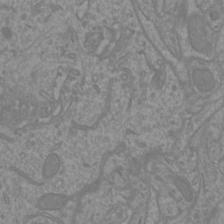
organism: Mouse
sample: Cortical neurons